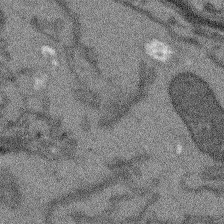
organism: Arabidopsis thaliana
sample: Root tip